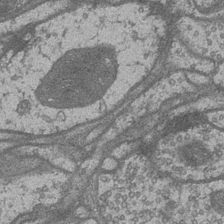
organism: Drosophila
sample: Optic medulla